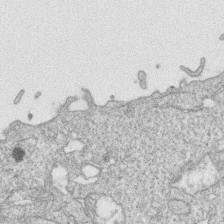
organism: Human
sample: HeLa cell HIV synapse